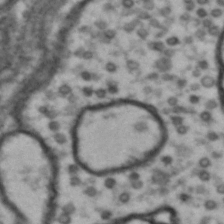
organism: Drosophila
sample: Brain